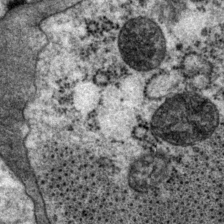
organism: P. pacificus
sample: Pharynx